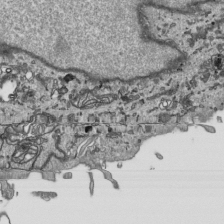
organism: Human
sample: Mitochondria in HCT116 cells